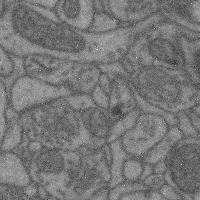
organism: Mouse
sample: Cerebral cortex